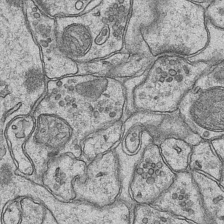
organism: Mouse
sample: CA1 Hippocampus